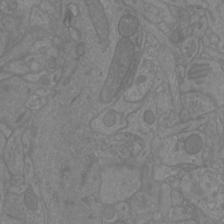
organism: Mouse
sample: Cortical neurons